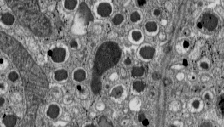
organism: C57BL Mouse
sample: Pancreatic islet